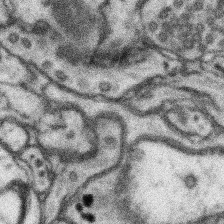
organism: Mouse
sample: Somatosensory cortex neuropil